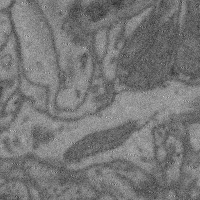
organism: Mouse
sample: Cerebral cortex